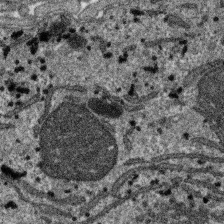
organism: Human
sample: Lung epithelial cells infected with SARS-CoV-2